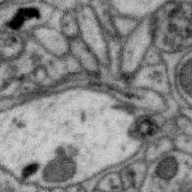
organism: Zebra finch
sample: Brain